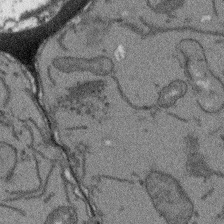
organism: Arabidopsis thaliana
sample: Root tip